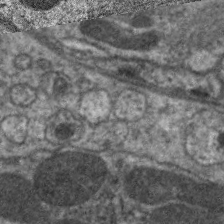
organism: C. elegans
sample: Pharynx